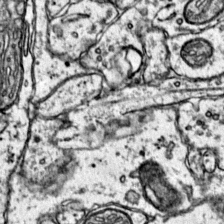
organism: Mouse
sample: Primary visual cortex